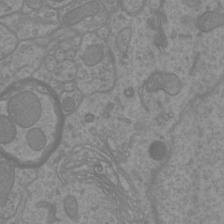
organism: Mouse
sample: Cortical neurons